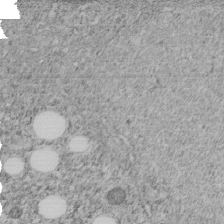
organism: C. elegans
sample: C. elegans embryo early stage